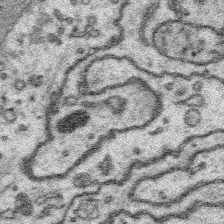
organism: Platynereis dumerilii